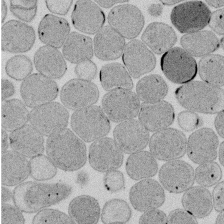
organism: E. coli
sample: Bacterial nucleoid